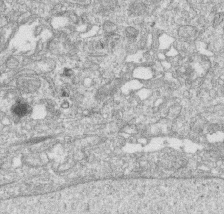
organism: Human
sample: HeLa cell HIV synapse